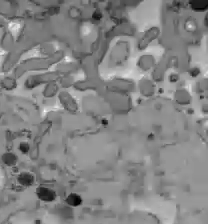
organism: C57BL Mouse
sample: Liver